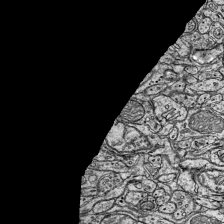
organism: Mouse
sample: Visual Cortex